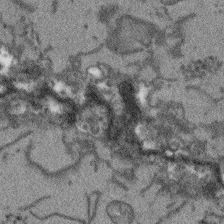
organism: Arabidopsis thaliana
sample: Root tip